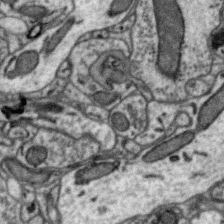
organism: Zebra finch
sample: Brain